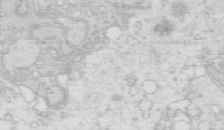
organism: Mouse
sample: Multiciliated cells